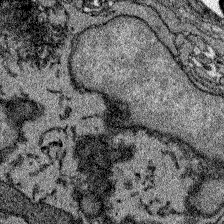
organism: Zebrafish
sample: Larval olfactory bulb